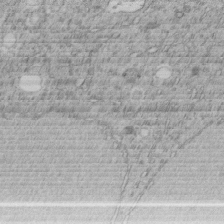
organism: C. elegans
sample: C. elegans embryo early stage